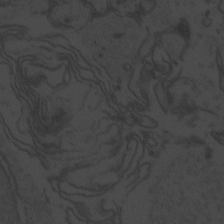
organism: Zebrafish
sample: Macrophage infected with Toxoplasma gondii